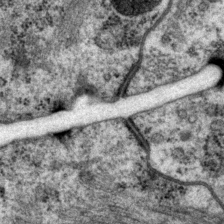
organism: P. pacificus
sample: Pharynx